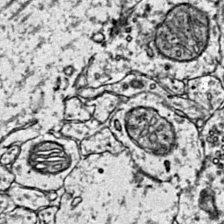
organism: Mouse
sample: Primary visual cortex